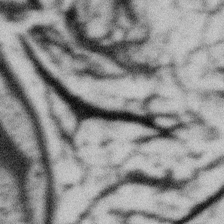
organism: Gemmata obscuriglobus